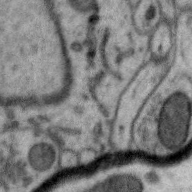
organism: Zebra finch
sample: Brain